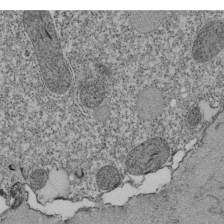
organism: Tetrahymena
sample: Cilia in tetrahymena